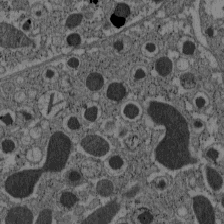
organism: C57BL Mouse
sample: Pancreatic islet